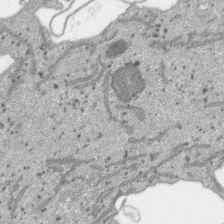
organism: Human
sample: Lung epithelial cells infected with SARS-CoV-2